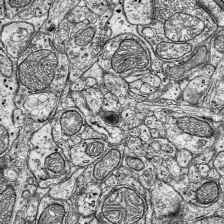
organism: Mouse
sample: Visual Cortex